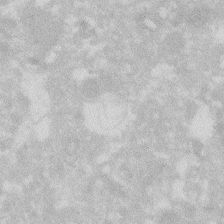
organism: Zebrafish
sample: Macrophage